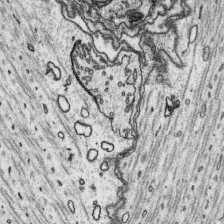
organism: Platynereis dumerilii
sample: Parapodia